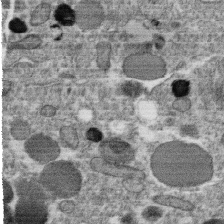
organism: C. elegans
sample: C. elegans oocyte; sperm cells